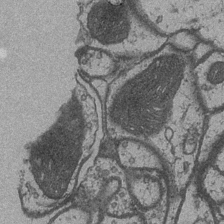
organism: Drosophila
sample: Optic medulla